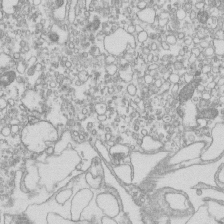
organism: Mouse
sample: Macrophages